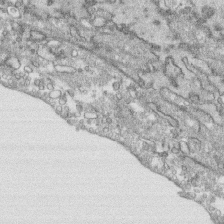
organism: Human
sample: CRL-1474